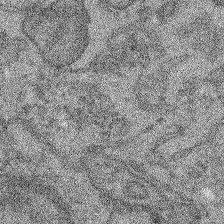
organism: Human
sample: HeLa cells